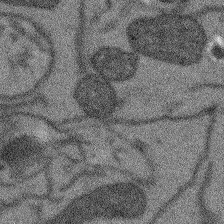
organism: Arabidopsis thaliana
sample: Root tip